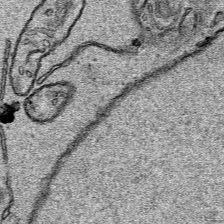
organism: Human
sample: Mitochondria in HCT116 cells